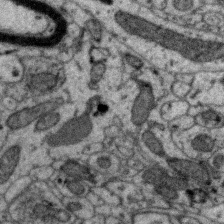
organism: Zebra finch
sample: Brain